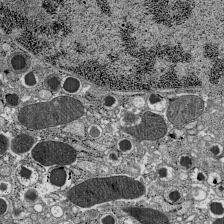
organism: C57BL Mouse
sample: Pancreatic islet